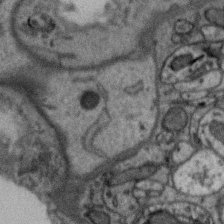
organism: Zebra finch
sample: Brain